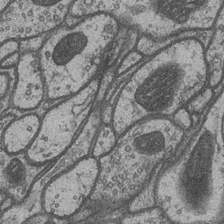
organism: Drosophila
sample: Optic medulla